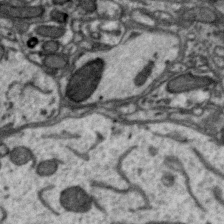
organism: Zebra finch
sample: Brain